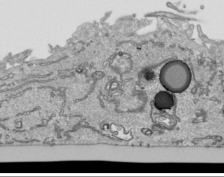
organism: Human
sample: Mitochondria in HCT116 cells